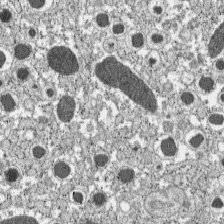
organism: C57BL Mouse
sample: Pancreatic islet